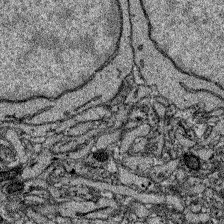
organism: Zebrafish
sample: Larval olfactory bulb